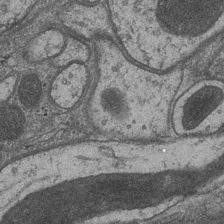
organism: Drosophila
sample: Optic medulla